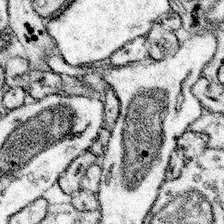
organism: Mouse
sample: Somatosensory cortex neuropil